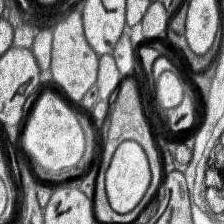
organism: Human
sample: Temporal Lobe